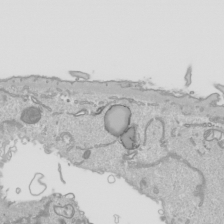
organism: Human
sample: Mitochondria in HCT116 cells